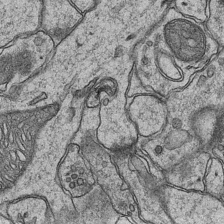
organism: Mouse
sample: CA1 Hippocampus